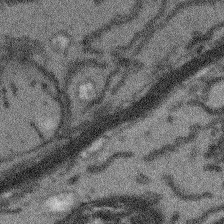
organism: Arabidopsis thaliana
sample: Root tip